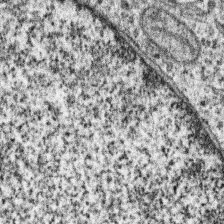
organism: Human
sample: HeLa cells